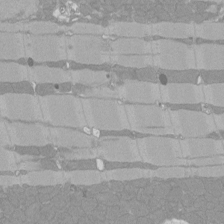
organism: Rat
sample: Left ventricle